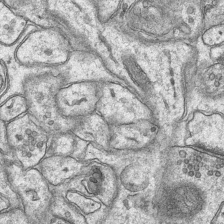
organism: Mouse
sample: CA1 Hippocampus